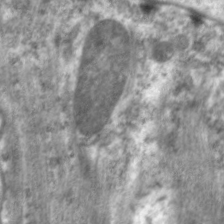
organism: C. elegans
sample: Pharynx